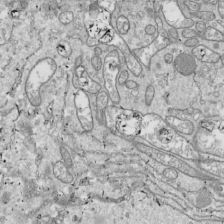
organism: Drosophila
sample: Cell division; meiosis; drosophila spermatocytes